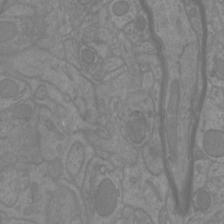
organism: Mouse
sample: Cortical neurons